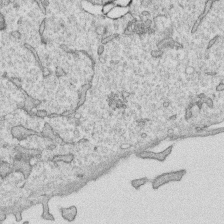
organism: Human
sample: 1205lu cells